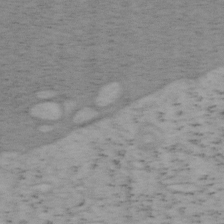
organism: Mouse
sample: OT-I killer T cells with ID8 ovarian cancer cells